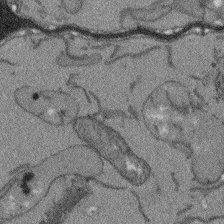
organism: Arabidopsis thaliana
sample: Root tip